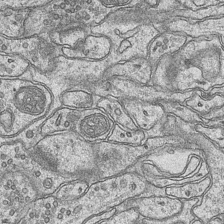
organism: Mouse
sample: CA1 Hippocampus